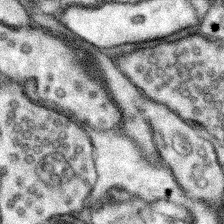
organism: Mouse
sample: Somatosensory cortex neuropil